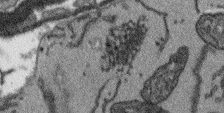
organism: Arabidopsis thaliana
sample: Root tip